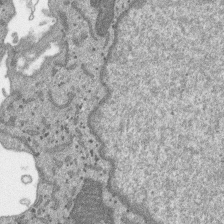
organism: Human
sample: Lung epithelial cells infected with SARS-CoV-2